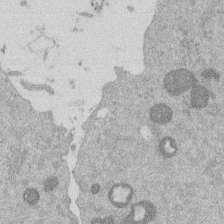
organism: Mouse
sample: Dividing mouse embryo 1 cell stage